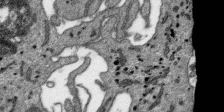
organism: Human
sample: Lung epithelial cells, uninfected (mock) control